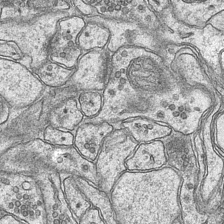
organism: Mouse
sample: CA1 Hippocampus